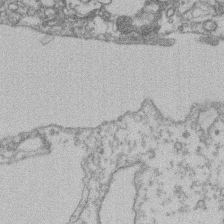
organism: Mouse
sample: T cell stromal cell synapse